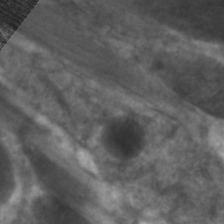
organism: C. elegans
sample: Pharynx